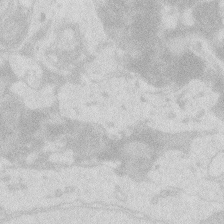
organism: Zebrafish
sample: Macrophage